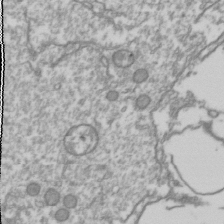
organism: Drosophila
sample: Cell division; meiosis; drosophila spermatocytes